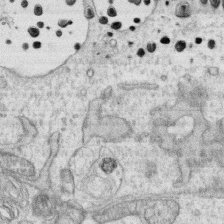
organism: Human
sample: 1205lu cells